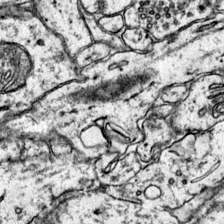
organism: Mouse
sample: Primary visual cortex